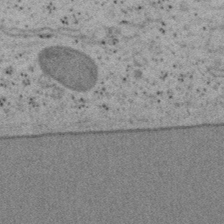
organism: Human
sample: HeLa cells